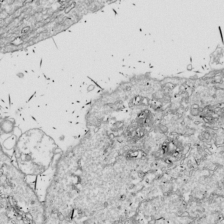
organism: Drosophila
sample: Cell division; meiosis; drosophila spermatocytes